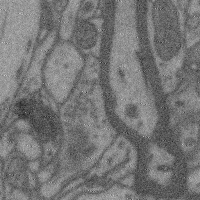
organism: Mouse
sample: Cerebral cortex